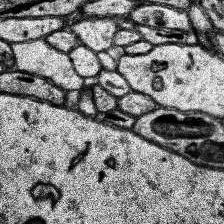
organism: Human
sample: Temporal Lobe